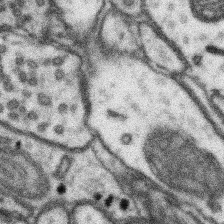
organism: Mouse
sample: Somatosensory cortex neuropil